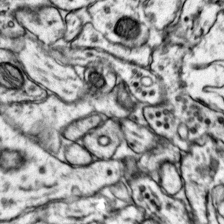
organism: Mouse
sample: Primary visual cortex